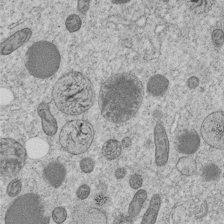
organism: C. elegans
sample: C. elegans embryo early stage